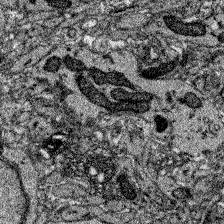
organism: Zebrafish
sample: Larval olfactory bulb